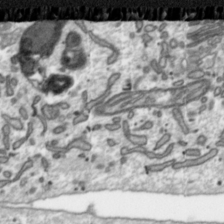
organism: Toxoplasma gondii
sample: Parasites in a vacuole inside a host cell